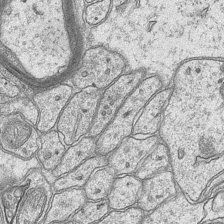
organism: Mouse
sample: CA1 Hippocampus